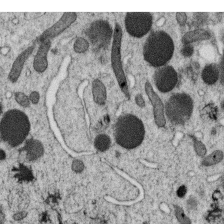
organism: C. elegans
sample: C. elegans oocyte; sperm cells